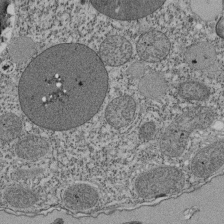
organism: Tetrahymena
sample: Cilia in tetrahymena